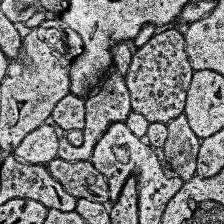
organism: Human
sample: Temporal Lobe